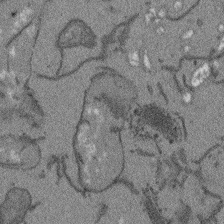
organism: Arabidopsis thaliana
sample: Root tip